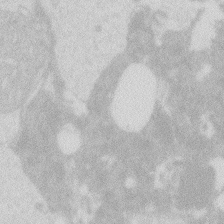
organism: Zebrafish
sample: Macrophage